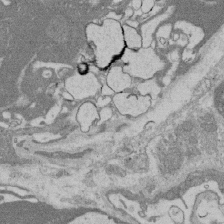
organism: Rat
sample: Salivary granule